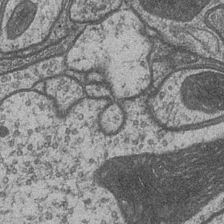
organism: Drosophila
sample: Optic medulla